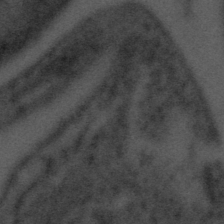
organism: Tuwongella immobilis